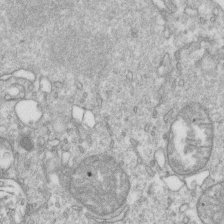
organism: Mouse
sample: Activated OT-1 CD8+ T cells